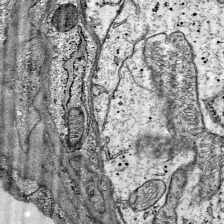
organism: Mouse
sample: Visual Cortex